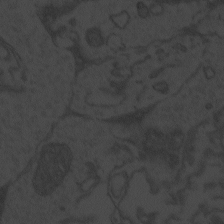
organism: Zebrafish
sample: Macrophage infected with Toxoplasma gondii